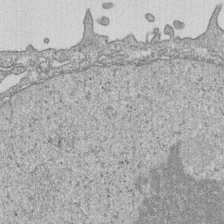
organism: Human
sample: HeLa cell HIV synapse